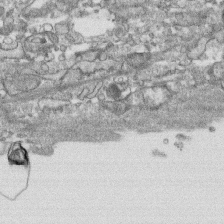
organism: Human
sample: CRL-1474